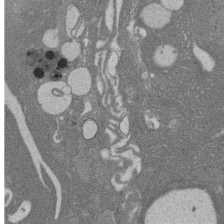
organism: Rat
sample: Salivary granule